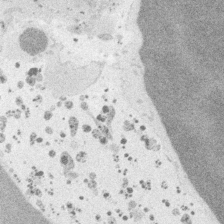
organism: Embia sp.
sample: Silk gland